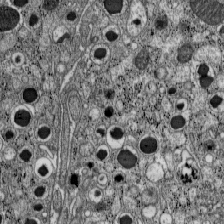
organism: C57BL Mouse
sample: Pancreatic islet